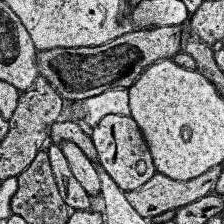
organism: Human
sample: Temporal Lobe